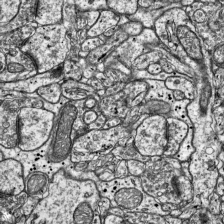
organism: Mouse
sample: Visual Cortex